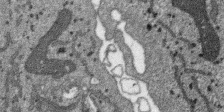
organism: Human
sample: Lung epithelial cells infected with SARS-CoV-2